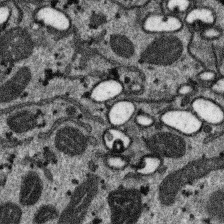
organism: Human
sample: Lung epithelial cells infected with SARS-CoV-2